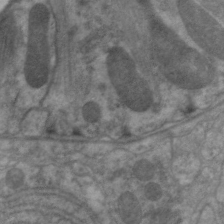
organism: C. elegans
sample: Pharynx